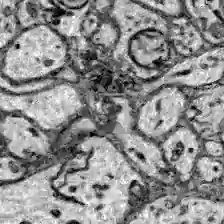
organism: Zebrafish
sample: Brain